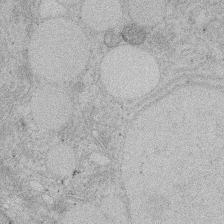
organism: Rat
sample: Salivary granule